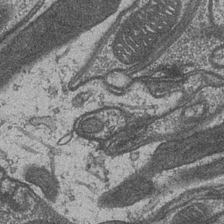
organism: Drosophila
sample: Optic medulla